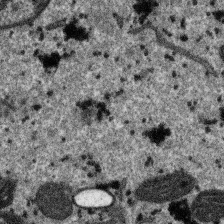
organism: Human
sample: Lung epithelial cells infected with SARS-CoV-2